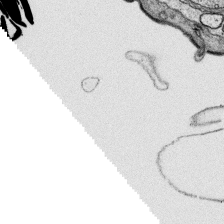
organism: Platynereis dumerilii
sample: Parapodia